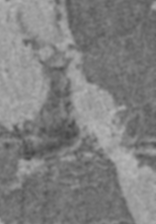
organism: C57BL Mouse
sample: Heart